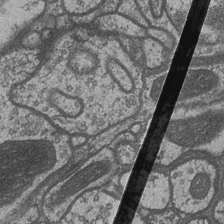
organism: Drosophila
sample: Optic medulla